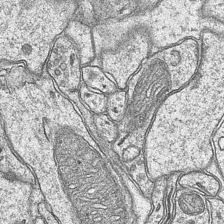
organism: Mouse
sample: CA1 Hippocampus